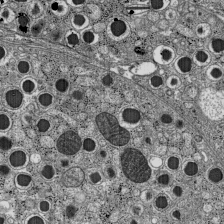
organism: C57BL Mouse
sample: Pancreatic islet